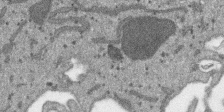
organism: Human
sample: Lung epithelial cells infected with SARS-CoV-2